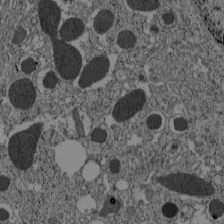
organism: C57BL Mouse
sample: Pancreatic islet